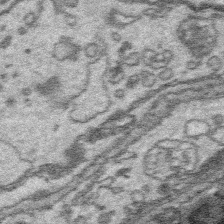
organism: Platynereis dumerilii